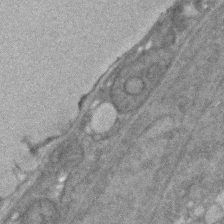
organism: C. elegans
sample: C. elegans embryo